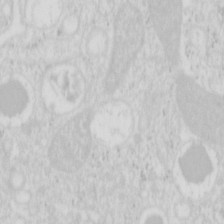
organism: Mouse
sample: Pancreas